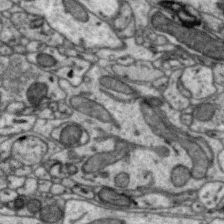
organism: Zebra finch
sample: Brain